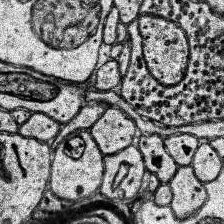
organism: Human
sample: Temporal Lobe